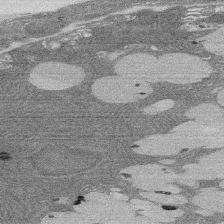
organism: Rat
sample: Salivary granule